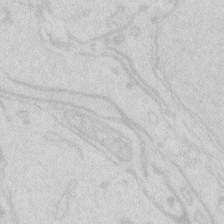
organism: Zebrafish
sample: Macrophage